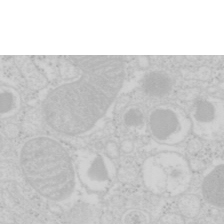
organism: Mouse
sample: Pancreas